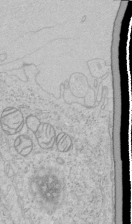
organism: Human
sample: Mitochondria in HCT116 cells